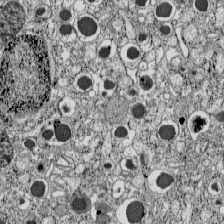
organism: C57BL Mouse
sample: Pancreatic islet